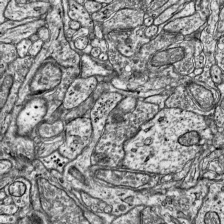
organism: Mouse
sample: Visual Cortex